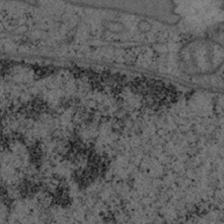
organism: Human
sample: HeLa cells